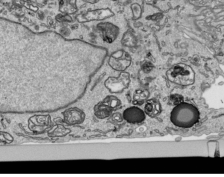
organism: Human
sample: Mitochondria in HCT116 cells